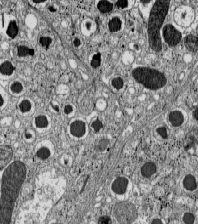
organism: C57BL Mouse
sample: Pancreatic islet